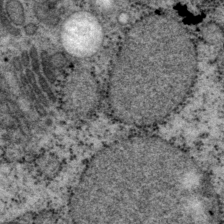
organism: P. pacificus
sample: Pharynx